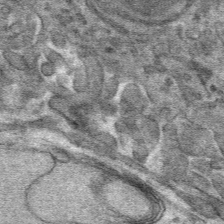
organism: Mouse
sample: Mouse hepatocytes